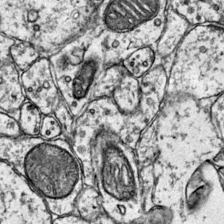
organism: Mouse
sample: Primary visual cortex